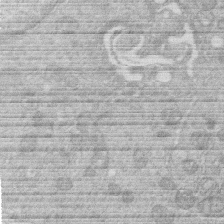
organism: Human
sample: Macrophage cells